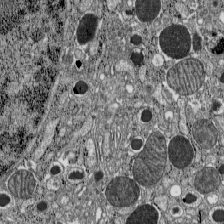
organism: C57BL Mouse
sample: Pancreatic islet